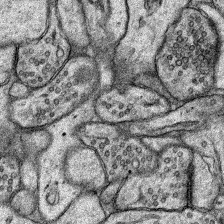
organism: Rat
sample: Hippocampus